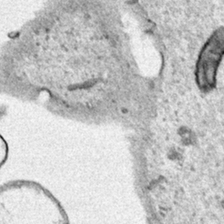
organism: Human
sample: Mitochondria in HCT116 cells